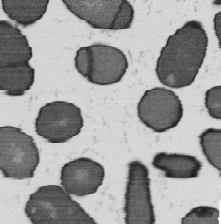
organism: B. subtilis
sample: Bacterial spore